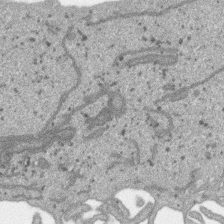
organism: Human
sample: Lung epithelial cells infected with SARS-CoV-2